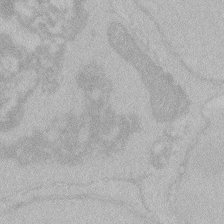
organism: Zebrafish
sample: Macrophage infected with Toxoplasma gondii